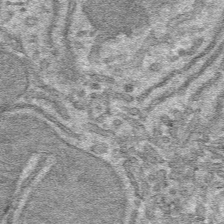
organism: Mouse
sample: Mouse hepatocytes